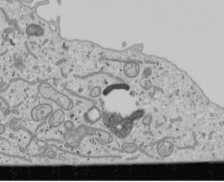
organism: Human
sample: Mitochondria in U2OS cells